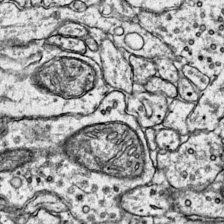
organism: Mouse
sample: Primary visual cortex